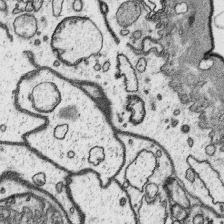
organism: Platynereis dumerilii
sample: Parapodia